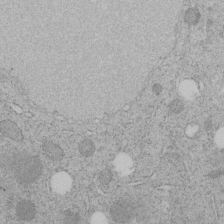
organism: C. elegans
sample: C. elegans embryo early stage